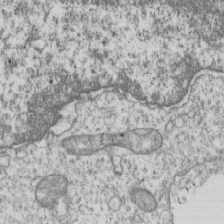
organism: Human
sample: MDA-MB-231 cells